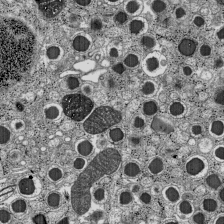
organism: C57BL Mouse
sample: Pancreatic islet